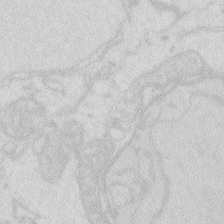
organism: Zebrafish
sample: Macrophage